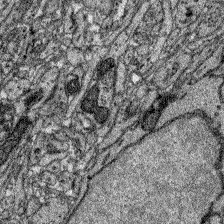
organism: Zebrafish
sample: Larval olfactory bulb